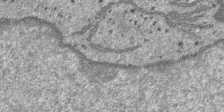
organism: Human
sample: Lung epithelial cells infected with SARS-CoV-2